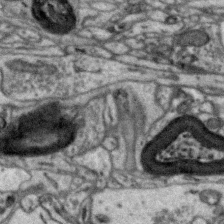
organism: Zebra finch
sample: Brain